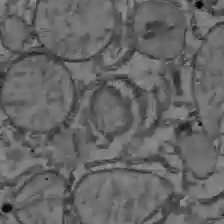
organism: C57BL Mouse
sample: Liver